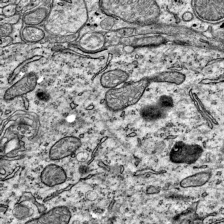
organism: Mouse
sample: Visual Cortex